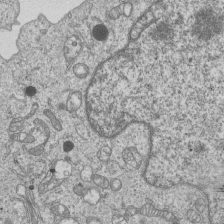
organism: Human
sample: MDA-MB-231 cells